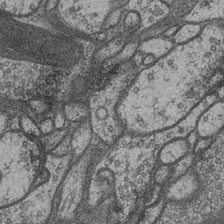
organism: Drosophila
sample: Optic medulla